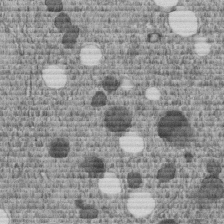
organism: C. elegans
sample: C. elegans embryo early stage